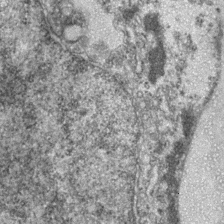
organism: Zebrafish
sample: Zebrafish embryo